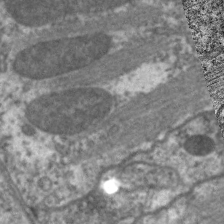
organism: C. elegans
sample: Pharynx